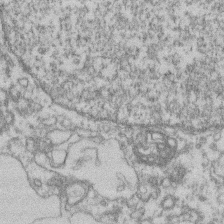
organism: Mouse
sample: T cell stromal cell synapse